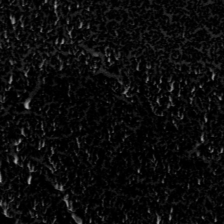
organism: Toxoplasma gondii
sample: Parasites in a vacuole inside a host cell